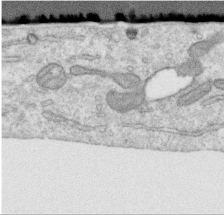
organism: Human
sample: Centriole in RPE cells